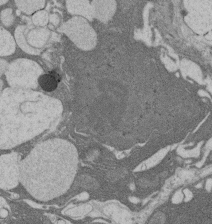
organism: Rat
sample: Salivary granule